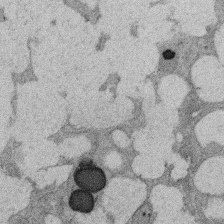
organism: Rat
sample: Salivary granule